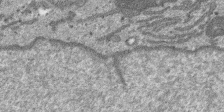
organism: Human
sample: Lung epithelial cells infected with SARS-CoV-2